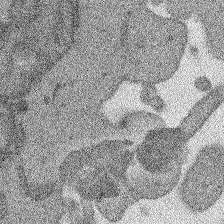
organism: Human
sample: HeLa cells